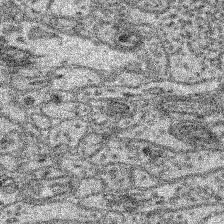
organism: Mouse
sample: Retina